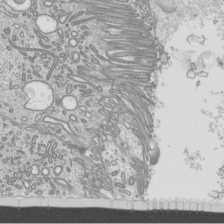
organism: Mouse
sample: Cilia; mouse epididymis